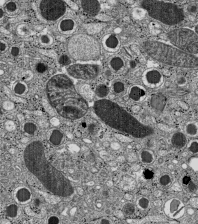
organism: C57BL Mouse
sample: Pancreatic islet